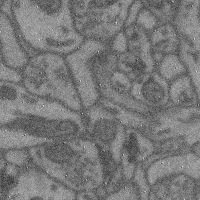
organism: Mouse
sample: Cerebral cortex